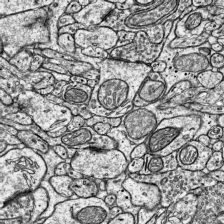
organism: Mouse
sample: Visual Cortex